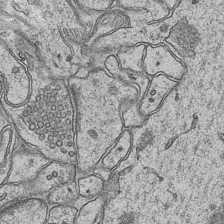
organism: Mouse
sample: CA1 Hippocampus